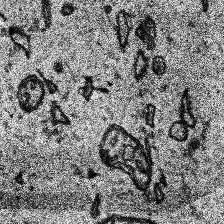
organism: Human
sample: Temporal Lobe